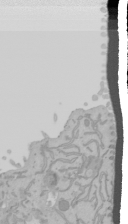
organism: Mouse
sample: Cancer cell death in ED-1 cells